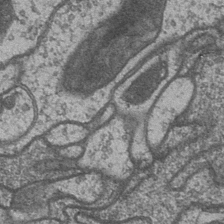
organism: Drosophila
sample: Optic medulla